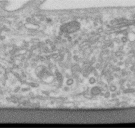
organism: Human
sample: Centriole in RPE cells